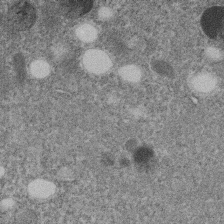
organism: C. elegans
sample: C. elegans embryo early stage